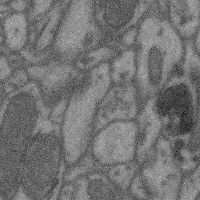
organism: Mouse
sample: Cerebral cortex